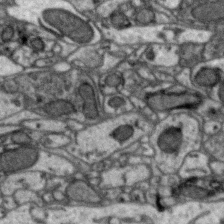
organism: Zebra finch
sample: Brain